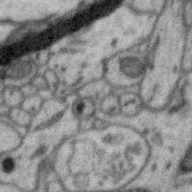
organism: Zebra finch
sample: Brain